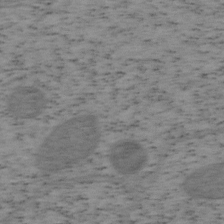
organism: Mouse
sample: OT-I killer T cells with ID8 ovarian cancer cells